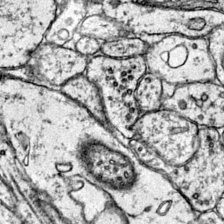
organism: Mouse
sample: Primary visual cortex